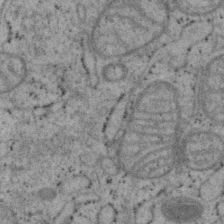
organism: Human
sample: HeLa cells